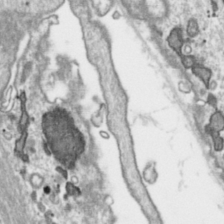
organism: Toxoplasma gondii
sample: Parasites in a vacuole inside a host cell